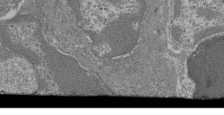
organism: Mouse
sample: Glomerulus